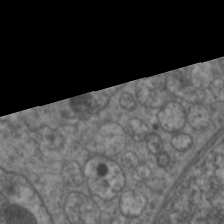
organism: C. elegans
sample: Pharynx